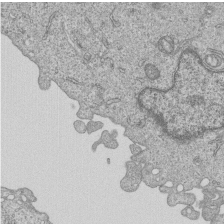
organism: Human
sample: MDA-MB-231 cells